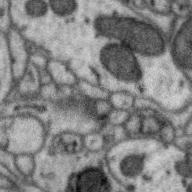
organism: Zebra finch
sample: Brain